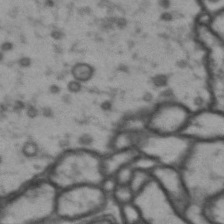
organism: Drosophila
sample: Brain